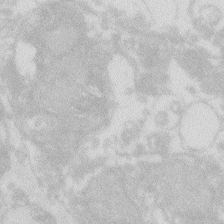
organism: Zebrafish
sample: Macrophage